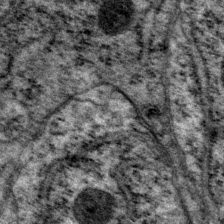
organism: P. pacificus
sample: Pharynx